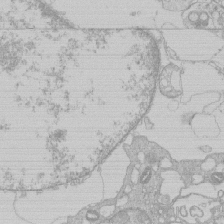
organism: Human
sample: Macrophage cells